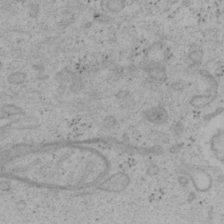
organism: Human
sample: HeLa cells